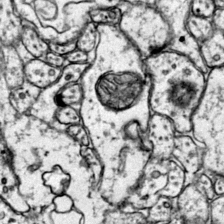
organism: Mouse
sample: Primary visual cortex